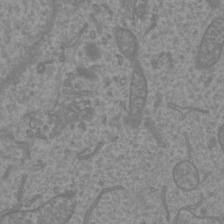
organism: Mouse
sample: Cortical neurons